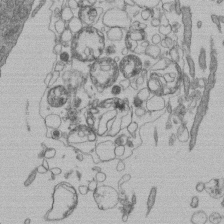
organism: Human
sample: Retinal organoid Rod and Cone cells